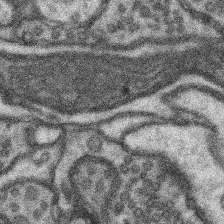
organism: Mouse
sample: Somatosensory cortex neuropil